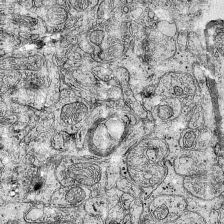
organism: Mouse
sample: Visual Cortex